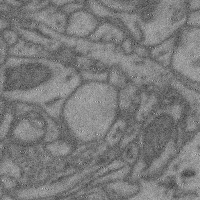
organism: Mouse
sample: Cerebral cortex